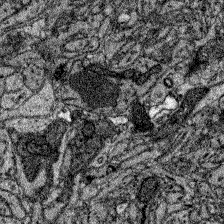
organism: Zebrafish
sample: Larval olfactory bulb